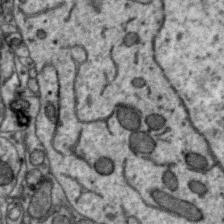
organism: Zebra finch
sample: Brain